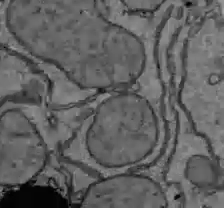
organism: C57BL Mouse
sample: Liver